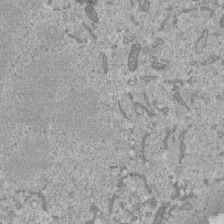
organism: Mouse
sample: ED-1 cell nuclei; centrioles